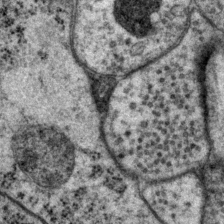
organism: P. pacificus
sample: Pharynx